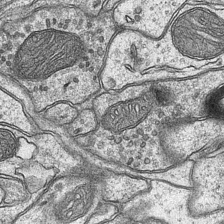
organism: Mouse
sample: CA1 Hippocampus